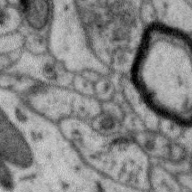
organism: Zebra finch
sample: Brain